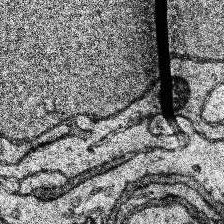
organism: Human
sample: Temporal Lobe